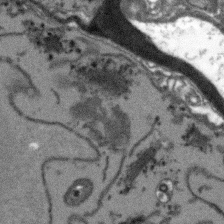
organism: Arabidopsis thaliana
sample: Root tip